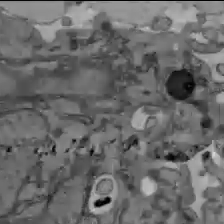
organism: C57BL Mouse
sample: Liver